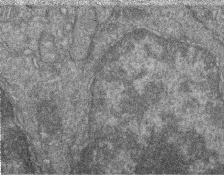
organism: Zebrafish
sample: Cilia; retinal pigment epithelium